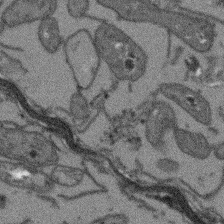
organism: Arabidopsis thaliana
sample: Root tip